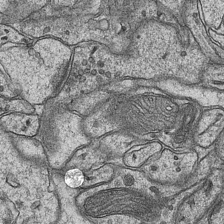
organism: Mouse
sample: CA1 Hippocampus